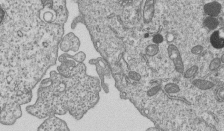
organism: Human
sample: MDA-MB-231 cells